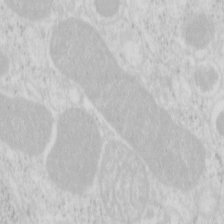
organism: Mouse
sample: Pancreas